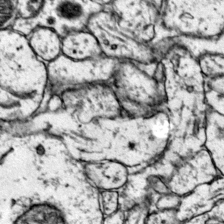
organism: Mouse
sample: Primary visual cortex